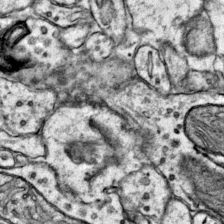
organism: Mouse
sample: Primary visual cortex